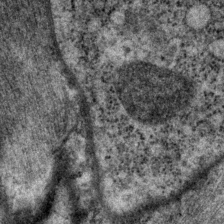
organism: P. pacificus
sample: Pharynx